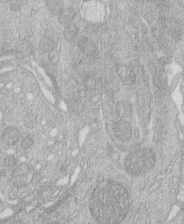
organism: Human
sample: Macrophage cells